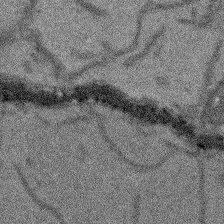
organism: Arabidopsis thaliana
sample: Root tip